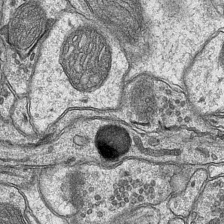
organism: Mouse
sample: CA1 Hippocampus